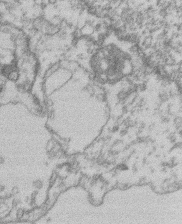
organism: Mouse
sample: T cell stromal cell synapse